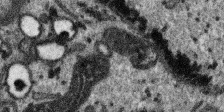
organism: Human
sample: Lung epithelial cells infected with SARS-CoV-2